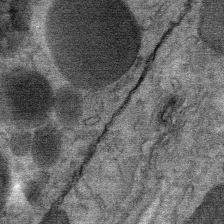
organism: Mouse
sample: Mouse Salivary gland